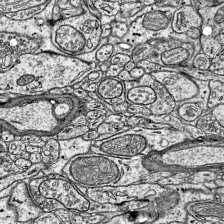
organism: Mouse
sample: Visual Cortex